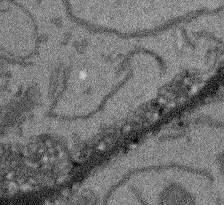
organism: Arabidopsis thaliana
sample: Root tip